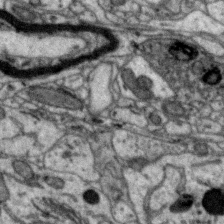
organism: Zebra finch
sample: Brain